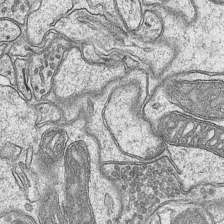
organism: Mouse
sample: CA1 Hippocampus